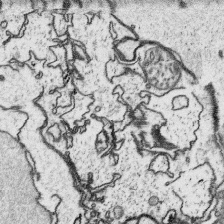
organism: Platynereis dumerilii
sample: Parapodia